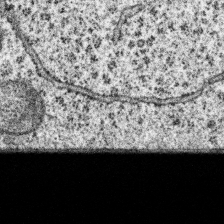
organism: Human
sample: HeLa cells